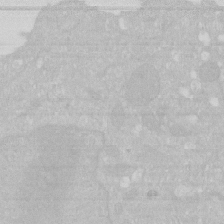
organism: Human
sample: HIV infected U937 cells